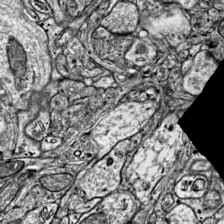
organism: Mouse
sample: Visual Cortex